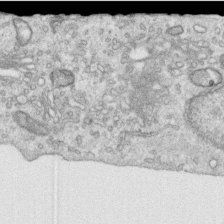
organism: Human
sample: Centriole in RPE cells